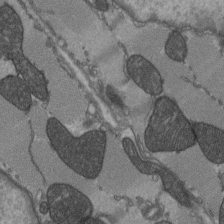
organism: C57BL Mouse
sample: Heart